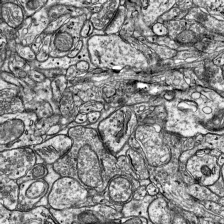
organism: Mouse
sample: Visual Cortex